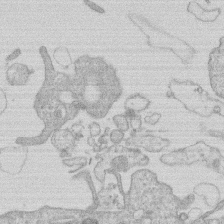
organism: Human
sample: Macrophage cells